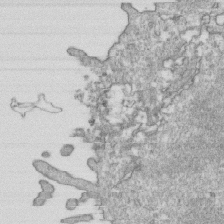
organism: Mouse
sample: Activated OT-1 CD8+ T cells